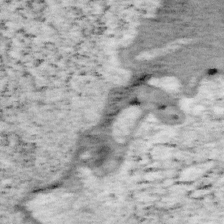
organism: Mouse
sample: OT-I killer T cells with ID8 ovarian cancer cells